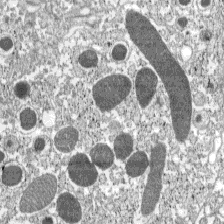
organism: C57BL Mouse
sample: Pancreatic islet